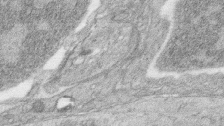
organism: Zebrafish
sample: synaptic ribbons in rod cells and cone cells